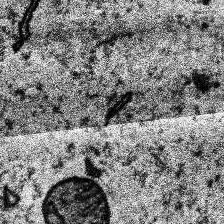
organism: Human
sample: Temporal Lobe